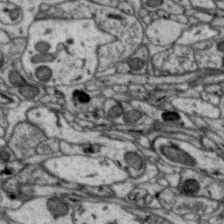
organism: Zebra finch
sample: Brain